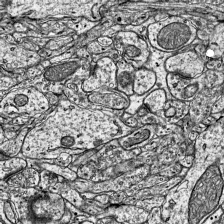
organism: Mouse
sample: Visual Cortex